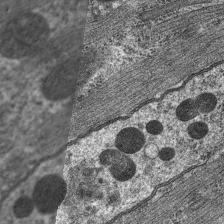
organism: C. elegans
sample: Pharynx